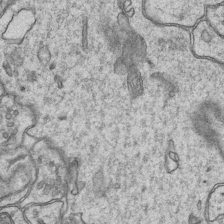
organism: Mouse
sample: CA1 Hippocampus